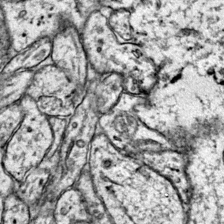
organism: Mouse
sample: Primary visual cortex